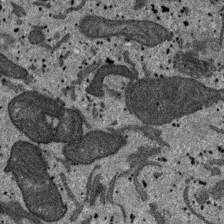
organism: Human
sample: Lung epithelial cells, uninfected (mock) control